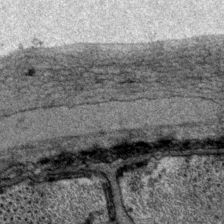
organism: P. pacificus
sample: Pharynx